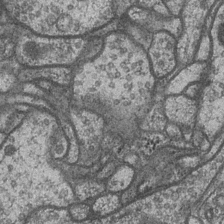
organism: Drosophila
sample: Optic medulla